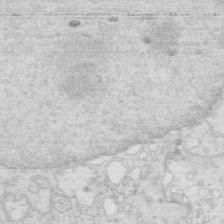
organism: Mouse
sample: Multiciliated cells